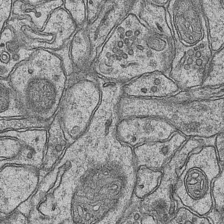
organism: Mouse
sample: CA1 Hippocampus